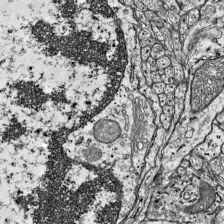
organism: Mouse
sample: Visual Cortex